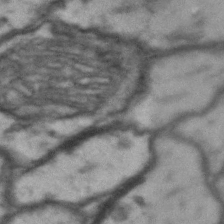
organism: Drosophila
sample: Brain